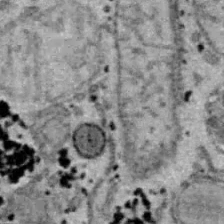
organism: Mouse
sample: Liver from an obese (ob/ob) mouse